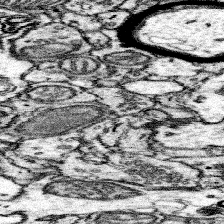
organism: Mouse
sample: Somatosensory cortex neuropil